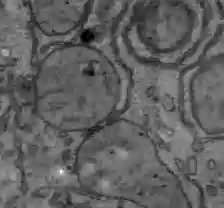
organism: C57BL Mouse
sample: Liver